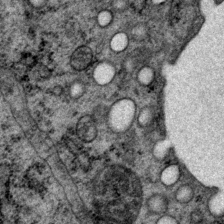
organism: P. pacificus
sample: Pharynx